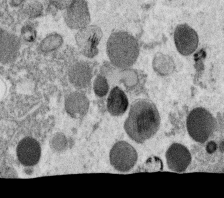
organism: C. elegans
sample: C. elegans oocyte; sperm cells